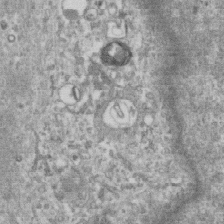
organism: Human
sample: Centriole in RPE cells